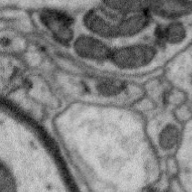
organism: Zebra finch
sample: Brain